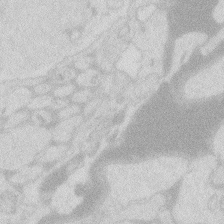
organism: Zebrafish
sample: Macrophage